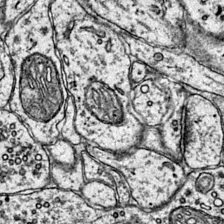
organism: Mouse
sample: Primary visual cortex